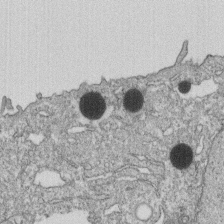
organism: Human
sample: HeLa cell HIV synapse